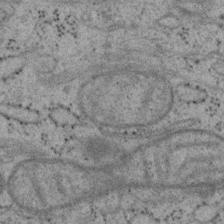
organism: Human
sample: HeLa cells